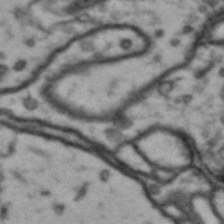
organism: Drosophila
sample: Brain